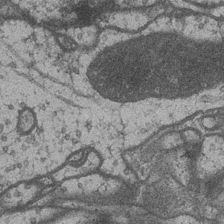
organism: Drosophila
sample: Optic medulla